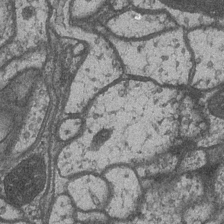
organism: Drosophila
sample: Optic medulla